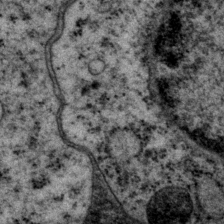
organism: P. pacificus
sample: Pharynx